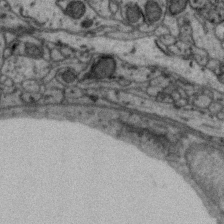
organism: Zebra finch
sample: Brain